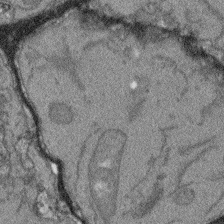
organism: Arabidopsis thaliana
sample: Root tip